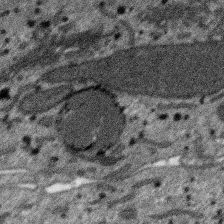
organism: Human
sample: Lung epithelial cells infected with SARS-CoV-2